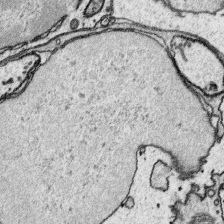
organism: Platynereis dumerilii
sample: Parapodia